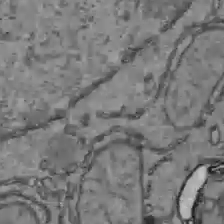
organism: C57BL Mouse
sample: Liver